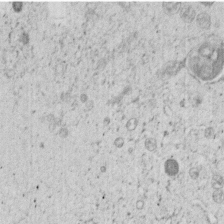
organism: C. elegans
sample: C. elegans embryo early stage